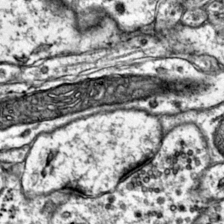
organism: Mouse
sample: Primary visual cortex